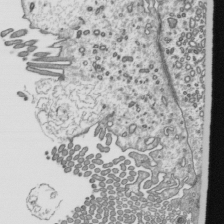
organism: Mouse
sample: Mouse epididymis efferent ductule cilia